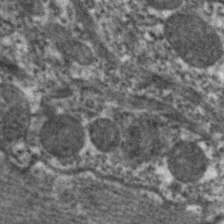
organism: C. elegans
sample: Pharynx